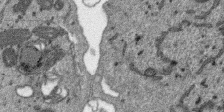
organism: Human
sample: Lung epithelial cells infected with SARS-CoV-2